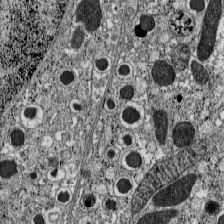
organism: C57BL Mouse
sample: Pancreatic islet